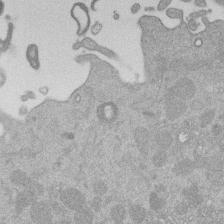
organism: Mouse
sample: Dividing mouse embryo 1 cell stage